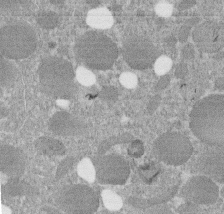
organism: C. elegans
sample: C. elegans embryo early stage